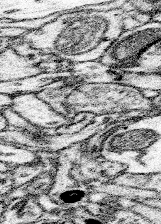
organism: Mouse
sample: Somatosensory cortex neuropil